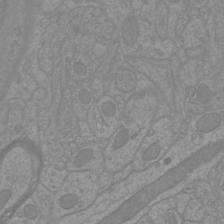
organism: Mouse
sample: Cortical neurons